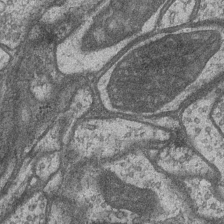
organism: Drosophila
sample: Optic medulla